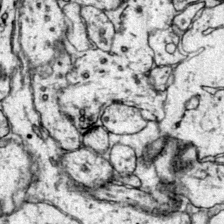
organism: Mouse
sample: Primary visual cortex